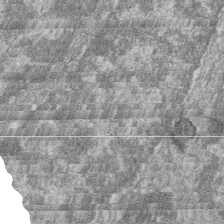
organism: Zebrafish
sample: Cilia; retinal pigment epithelium